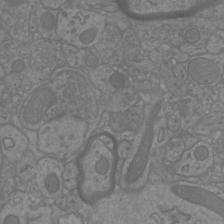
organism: Mouse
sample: Cortical neurons